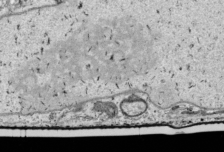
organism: Human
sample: Mitochondria in HCT116 cells